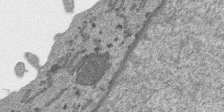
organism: Human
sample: Lung epithelial cells infected with SARS-CoV-2